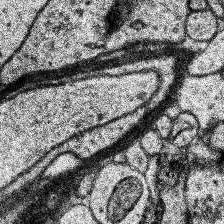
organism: Human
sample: Temporal Lobe